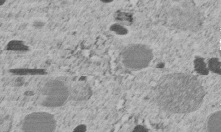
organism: C. elegans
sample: C. elegans embryo early stage